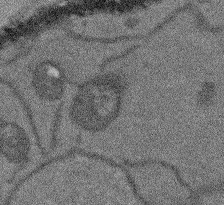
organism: Arabidopsis thaliana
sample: Root tip